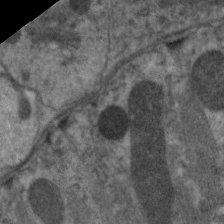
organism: C. elegans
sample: Pharynx